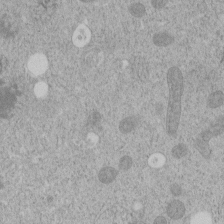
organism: C. elegans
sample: C. elegans embryo early stage